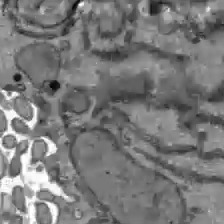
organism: C57BL Mouse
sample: Liver